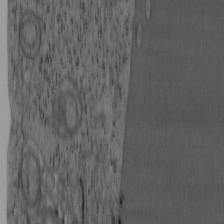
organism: Human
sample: HeLa cells